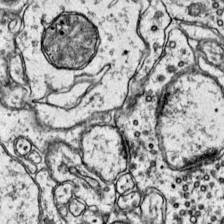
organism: Mouse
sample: Primary visual cortex